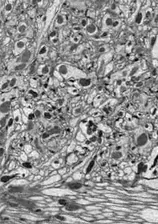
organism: Drosophila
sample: Optic lobe